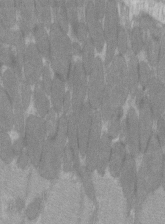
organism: C57BL Mouse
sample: Tibialis anterior muscle cell